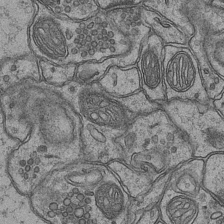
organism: Mouse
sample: CA1 Hippocampus